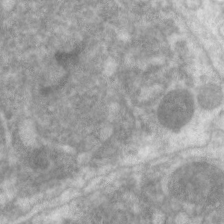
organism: C. elegans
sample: Pharynx